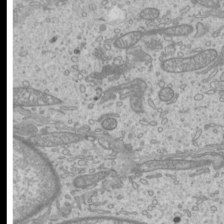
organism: Mouse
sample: Cilia; mouse epididymis